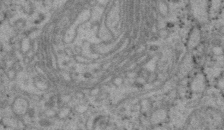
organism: Human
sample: HeLa cells